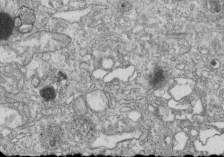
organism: Human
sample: HeLa cell HIV synapse